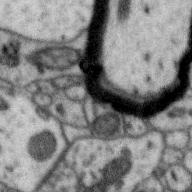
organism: Zebra finch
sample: Brain